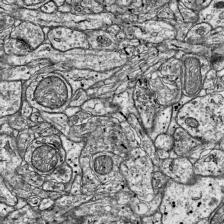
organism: Mouse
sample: Visual Cortex